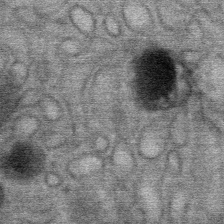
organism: Mouse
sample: Mouse Salivary gland